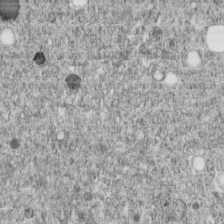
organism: C. elegans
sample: C. elegans embryo early stage